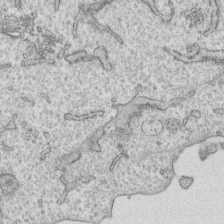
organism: Human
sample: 1205lu cells